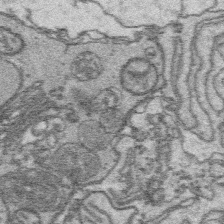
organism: Platynereis dumerilii